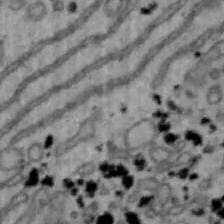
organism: Mouse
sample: Liver